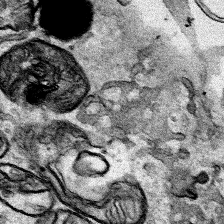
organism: Human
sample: Mitochondria in HCT116 cells